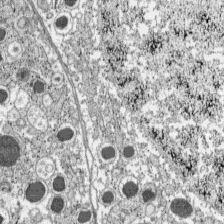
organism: C57BL Mouse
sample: Pancreatic islet